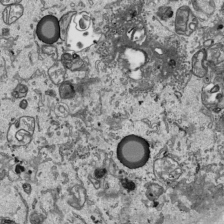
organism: Human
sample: Mitochondria in HCT116 cells